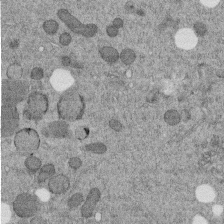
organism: C. elegans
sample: C. elegans embryo early stage